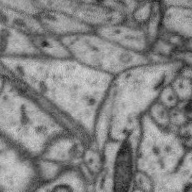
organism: Zebra finch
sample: Brain